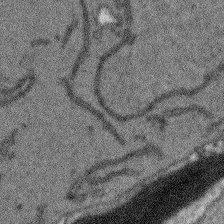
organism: Arabidopsis thaliana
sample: Root tip